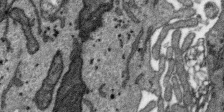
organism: Human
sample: Lung epithelial cells, uninfected (mock) control